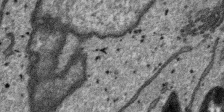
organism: Human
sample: Lung epithelial cells, uninfected (mock) control